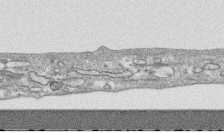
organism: Human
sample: CRL-1474